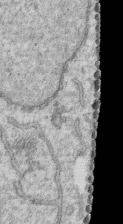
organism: Human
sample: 1205lu cells